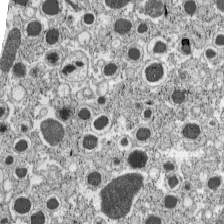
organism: C57BL Mouse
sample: Pancreatic islet